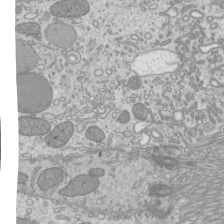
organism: Mouse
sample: Cilia; mouse epididymis